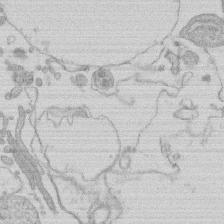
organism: Human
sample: Macrophage cells